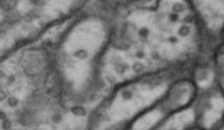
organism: Drosophila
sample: Brain